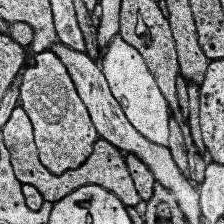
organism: Human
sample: Temporal Lobe